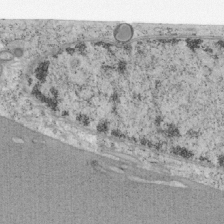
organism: Human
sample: HeLa cells